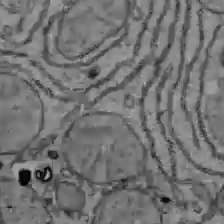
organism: C57BL Mouse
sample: Liver